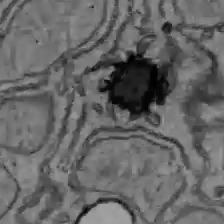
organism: C57BL Mouse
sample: Liver